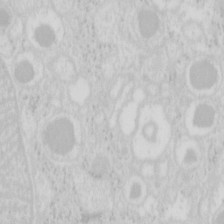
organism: Mouse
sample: Pancreas